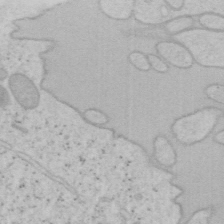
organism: Human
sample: HeLa cells